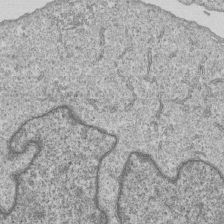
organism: Human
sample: MDA-MB-231 cells